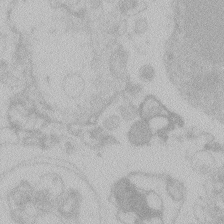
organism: Zebrafish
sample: Macrophage infected with Toxoplasma gondii